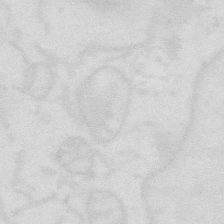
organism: Human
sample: HeLa cells